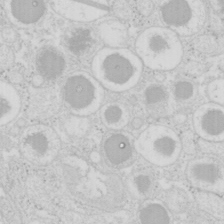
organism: Mouse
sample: Pancreas